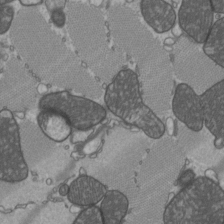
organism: C57BL Mouse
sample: Heart